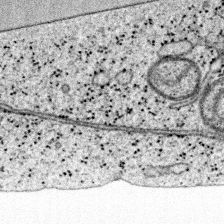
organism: Human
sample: HeLa cells